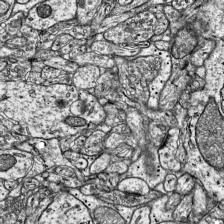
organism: Mouse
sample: Visual Cortex